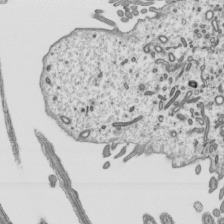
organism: Mouse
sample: Mouse epididymis efferent ductule cilia